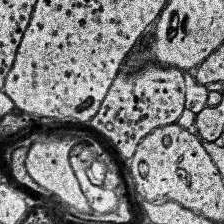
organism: Human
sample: Temporal Lobe